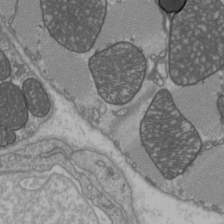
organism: C57BL Mouse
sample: Heart